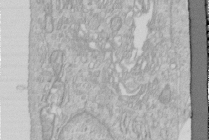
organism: Human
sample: Centriole in RPE cells